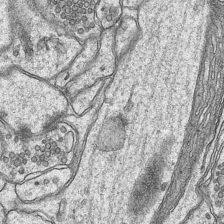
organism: Mouse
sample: CA1 Hippocampus